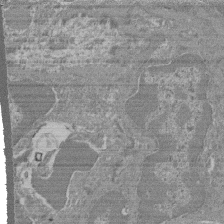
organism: Mouse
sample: Glomerulus